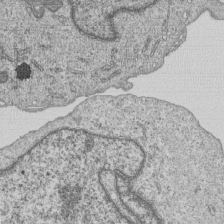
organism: Human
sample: MDA-MB-231 cells